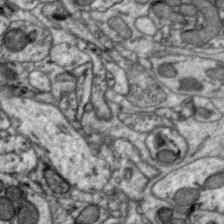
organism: Zebra finch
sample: Brain